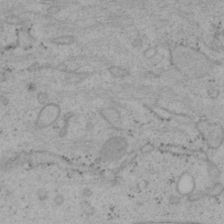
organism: Human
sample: HeLa cells